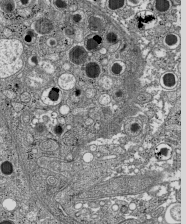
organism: C57BL Mouse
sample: Pancreatic islet